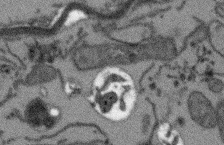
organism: Arabidopsis thaliana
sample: Root tip